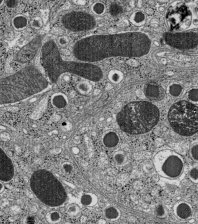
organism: C57BL Mouse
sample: Pancreatic islet